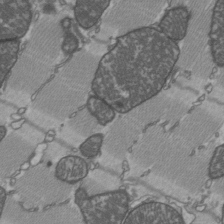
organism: C57BL Mouse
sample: Heart